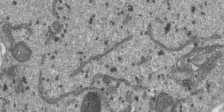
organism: Human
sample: Lung epithelial cells infected with SARS-CoV-2